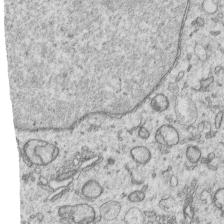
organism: Human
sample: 1205lu cells